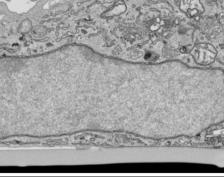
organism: Human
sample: Mitochondria in HCT116 cells